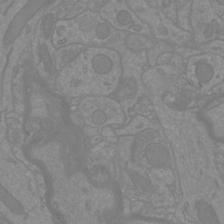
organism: Mouse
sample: Cortical neurons